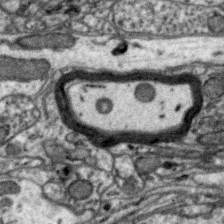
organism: Zebra finch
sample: Brain